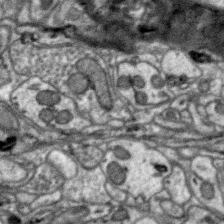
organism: Zebra finch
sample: Brain